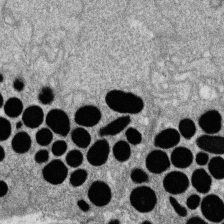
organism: Zebrafish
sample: Cilia; retinal pigment epithelium